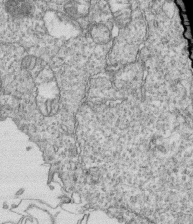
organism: Human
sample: HeLa cell HIV synapse